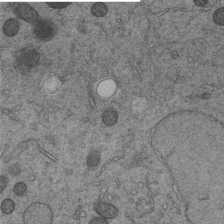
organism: C. elegans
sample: C. elegans embryo early stage